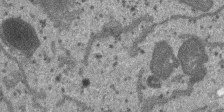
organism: Human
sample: Lung epithelial cells infected with SARS-CoV-2